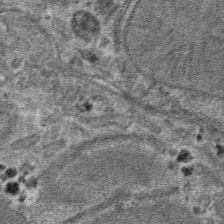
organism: Mouse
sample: Mouse hepatocytes